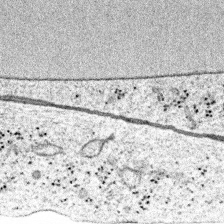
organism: Human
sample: HeLa cells